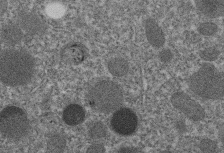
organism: C. elegans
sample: C. elegans embryo early stage